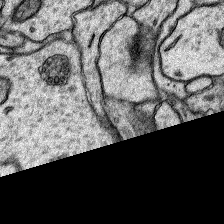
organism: Rat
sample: Hippocampus